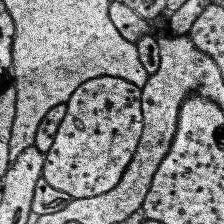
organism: Human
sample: Temporal Lobe